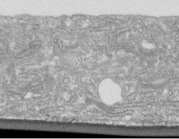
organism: Human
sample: Centriole in fibroblast cells